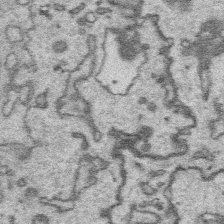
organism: Platynereis dumerilii